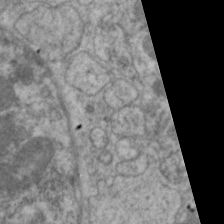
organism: C. elegans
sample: Pharynx